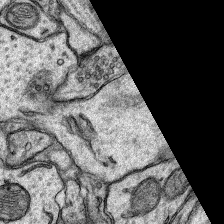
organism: Rat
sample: Hippocampus